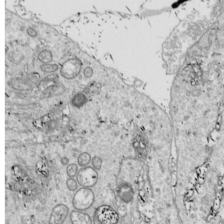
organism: Drosophila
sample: Cell division; meiosis; drosophila spermatocytes